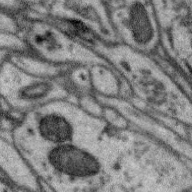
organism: Zebra finch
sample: Brain